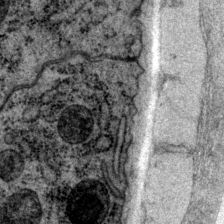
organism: P. pacificus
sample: Pharynx